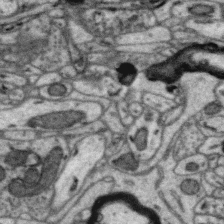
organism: Zebra finch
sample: Brain